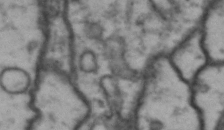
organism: Drosophila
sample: Brain